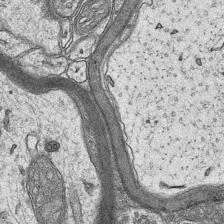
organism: Mouse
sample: CA1 Hippocampus